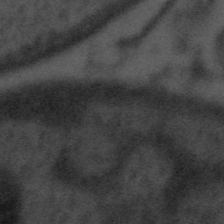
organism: Tuwongella immobilis